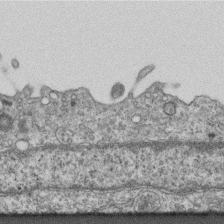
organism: Mouse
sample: Centriole in ependymal cells